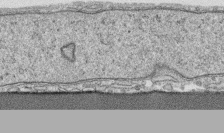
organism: Human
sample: CRL-1474